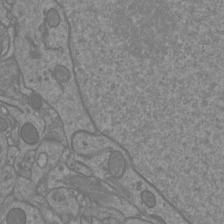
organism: Mouse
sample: Cortical neurons